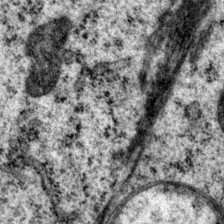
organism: P. pacificus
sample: Pharynx